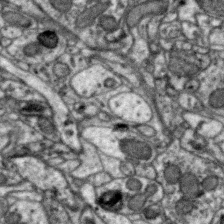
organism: Zebra finch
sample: Brain